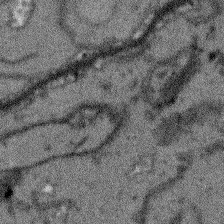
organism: Arabidopsis thaliana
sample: Root tip